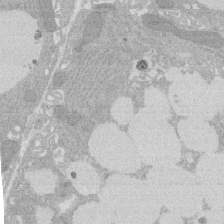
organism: Rat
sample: Salivary granule